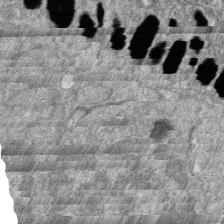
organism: Zebrafish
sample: Cilia; retinal pigment epithelium